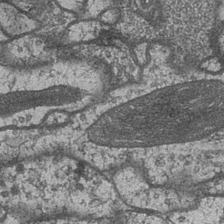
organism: Drosophila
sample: Optic medulla